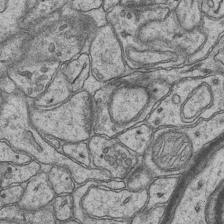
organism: Mouse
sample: CA1 Hippocampus